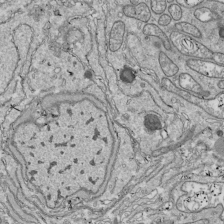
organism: Drosophila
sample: Cell division; meiosis; drosophila spermatocytes